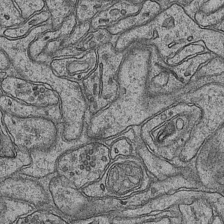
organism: Mouse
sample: CA1 Hippocampus